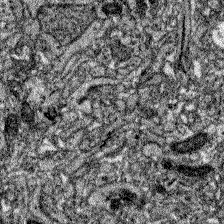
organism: Zebrafish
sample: Larval olfactory bulb